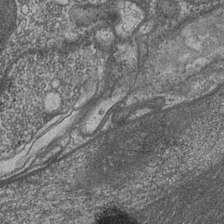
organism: Drosophila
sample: Optic medulla